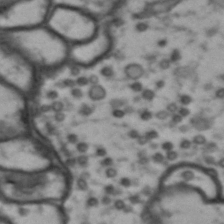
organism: Drosophila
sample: Brain